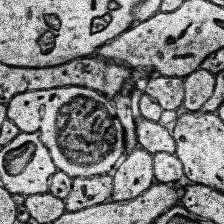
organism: Human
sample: Temporal Lobe